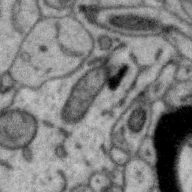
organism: Zebra finch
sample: Brain